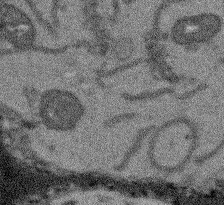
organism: Arabidopsis thaliana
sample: Root tip